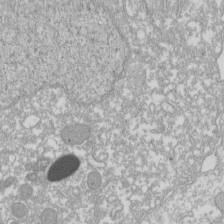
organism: Xenopus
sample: Cilia; centrioles in frog embryo cells